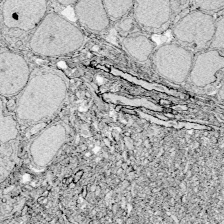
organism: Zebrafish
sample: Whole-Brain